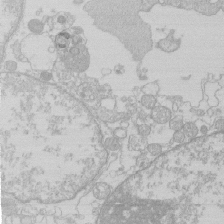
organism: Human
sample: Macrophage cells